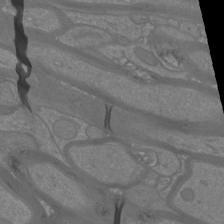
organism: Mouse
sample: Cortical neurons